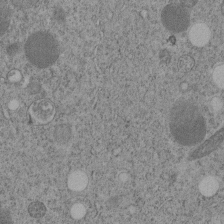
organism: C. elegans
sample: C. elegans embryo early stage